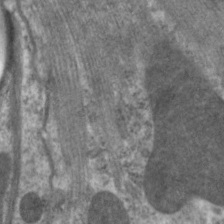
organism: C. elegans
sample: Pharynx